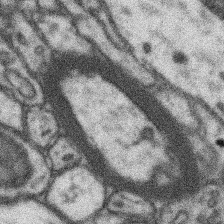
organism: Mouse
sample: Somatosensory cortex neuropil